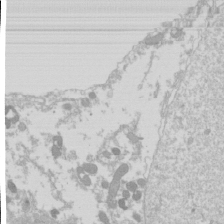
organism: Drosophila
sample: Cell division; meiosis; drosophila spermatocytes